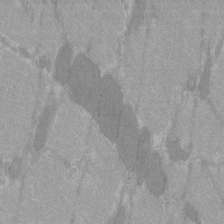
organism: C57BL Mouse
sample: Tibialis anterior muscle cell